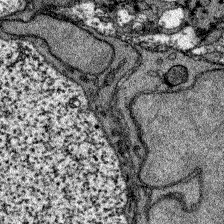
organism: Zebrafish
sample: Larval olfactory bulb